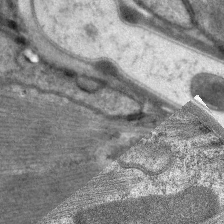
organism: C. elegans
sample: Pharynx